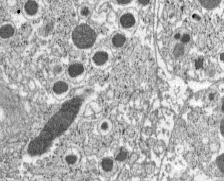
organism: C57BL Mouse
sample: Pancreatic islet